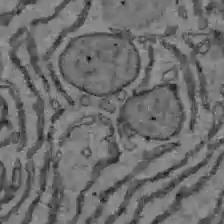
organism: C57BL Mouse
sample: Liver